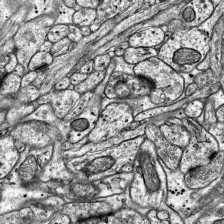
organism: Mouse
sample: Visual Cortex